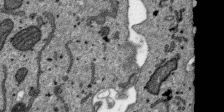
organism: Human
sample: Lung epithelial cells, uninfected (mock) control